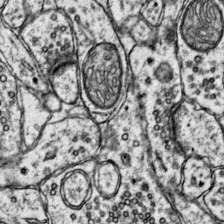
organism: Mouse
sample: Primary visual cortex